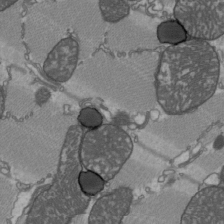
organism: C57BL Mouse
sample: Heart